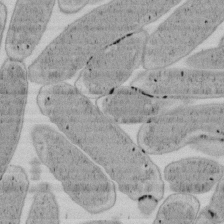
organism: E. coli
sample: Bacterial nucleoid